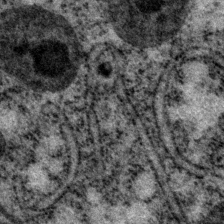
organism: P. pacificus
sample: Pharynx